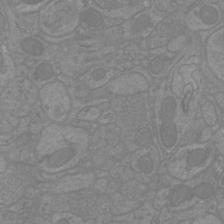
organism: Mouse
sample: Cortical neurons